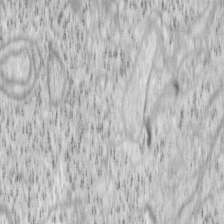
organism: Human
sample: HeLa cells